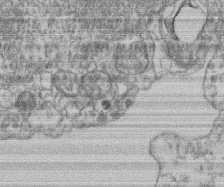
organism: Mouse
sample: T cell stromal cell synapse